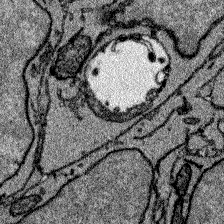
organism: Zebrafish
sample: Larval olfactory bulb